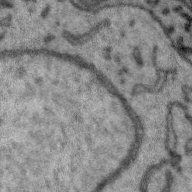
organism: Zebra finch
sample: Brain